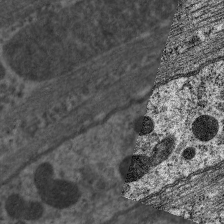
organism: C. elegans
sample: Pharynx